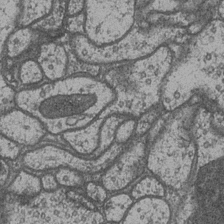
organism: Drosophila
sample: Optic medulla